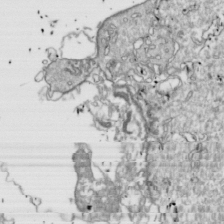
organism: Drosophila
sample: Cell division; meiosis; drosophila spermatocytes